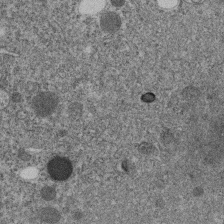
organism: C. elegans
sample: C. elegans embryo early stage